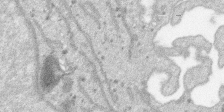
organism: Human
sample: Lung epithelial cells infected with SARS-CoV-2